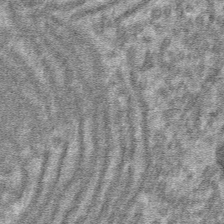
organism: Mouse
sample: Mouse hepatocytes